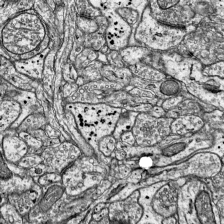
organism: Mouse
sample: Visual Cortex